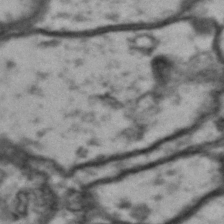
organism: Drosophila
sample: Brain